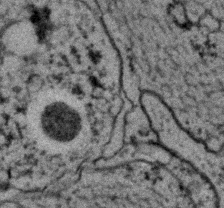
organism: C. elegans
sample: C. elegans embryo